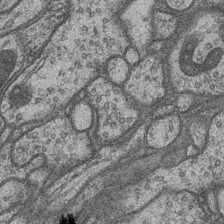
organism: Drosophila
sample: Optic medulla